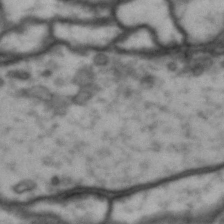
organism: Drosophila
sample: Brain